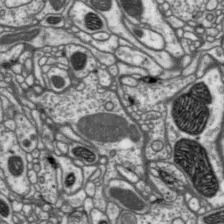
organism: Drosophila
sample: Protocerebral bridge